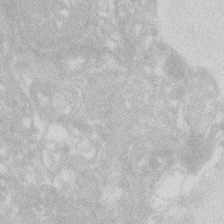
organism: Zebrafish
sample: Macrophage